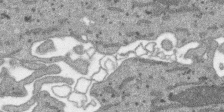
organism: Human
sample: Lung epithelial cells infected with SARS-CoV-2